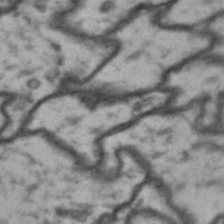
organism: Drosophila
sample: Brain